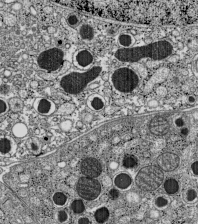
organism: C57BL Mouse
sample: Pancreatic islet